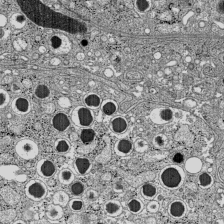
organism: C57BL Mouse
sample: Pancreatic islet